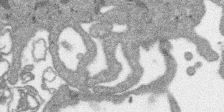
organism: Human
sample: Lung epithelial cells infected with SARS-CoV-2